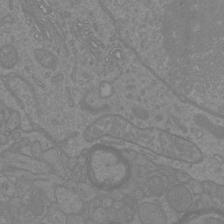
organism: Mouse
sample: Cortical neurons